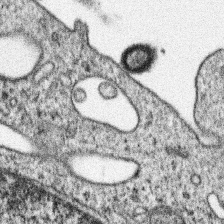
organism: Human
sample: HeLa cells